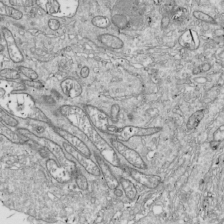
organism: Drosophila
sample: Cell division; meiosis; drosophila spermatocytes